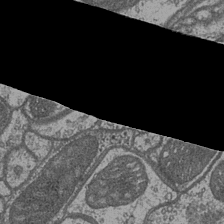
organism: Drosophila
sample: Optic medulla